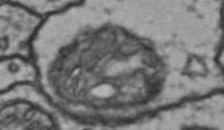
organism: Drosophila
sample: Brain